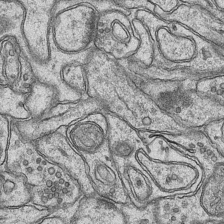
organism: Mouse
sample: CA1 Hippocampus